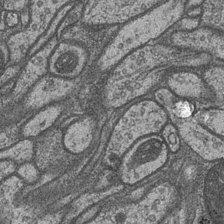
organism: Drosophila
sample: Optic medulla